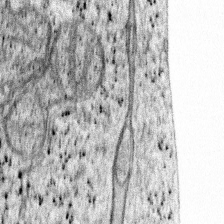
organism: Human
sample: HeLa cells